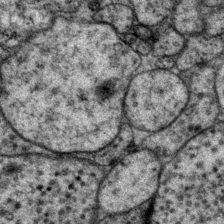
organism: P. pacificus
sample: Pharynx